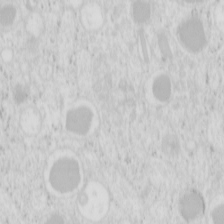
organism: Mouse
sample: Pancreas